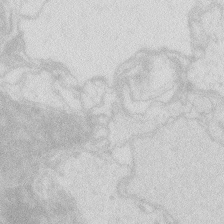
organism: Zebrafish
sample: Macrophage